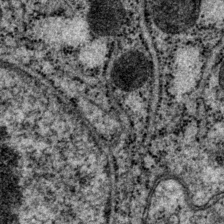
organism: P. pacificus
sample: Pharynx